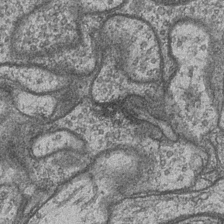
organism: Drosophila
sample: Optic medulla